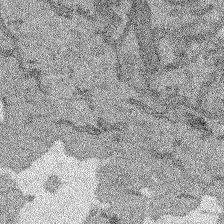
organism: Human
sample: HeLa cells